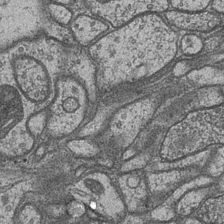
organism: Drosophila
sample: Optic medulla